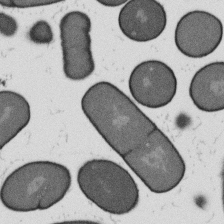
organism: B. subtilis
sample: Bacterial spore